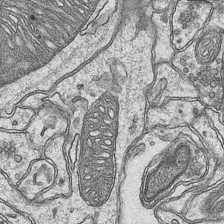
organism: Mouse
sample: CA1 Hippocampus